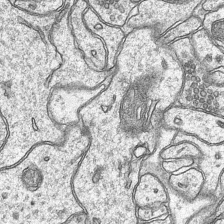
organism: Mouse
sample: CA1 Hippocampus